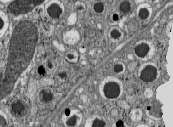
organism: C57BL Mouse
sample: Pancreatic islet